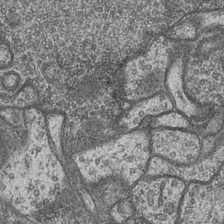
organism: Drosophila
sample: Optic medulla